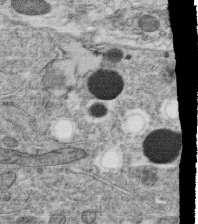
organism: C. elegans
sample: C. elegans oocyte; sperm cells